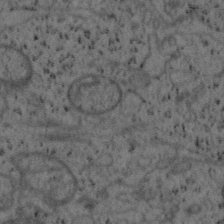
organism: Human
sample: HeLa cells